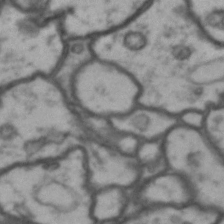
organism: Drosophila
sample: Brain